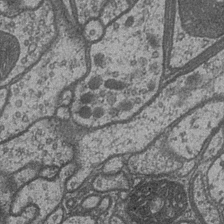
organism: Drosophila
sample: Optic medulla